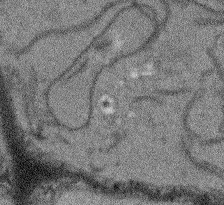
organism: Arabidopsis thaliana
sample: Root tip